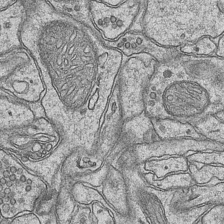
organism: Mouse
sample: CA1 Hippocampus